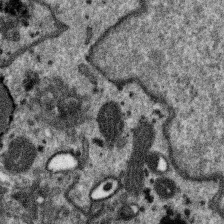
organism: Human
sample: Lung epithelial cells infected with SARS-CoV-2